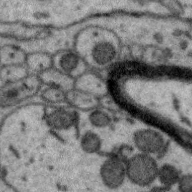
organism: Zebra finch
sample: Brain